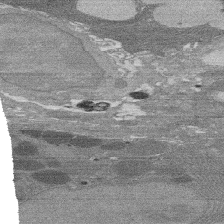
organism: Rat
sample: Salivary granule